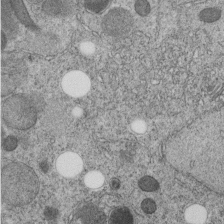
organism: C. elegans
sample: C. elegans embryo early stage